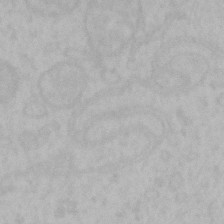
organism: Mouse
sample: Choroid plexus